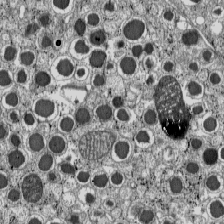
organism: C57BL Mouse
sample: Pancreatic islet